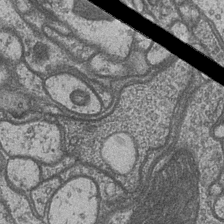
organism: Drosophila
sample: Optic medulla